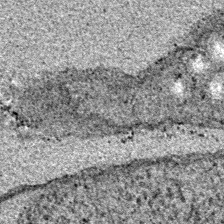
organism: E. coli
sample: E. Coli Bacteria